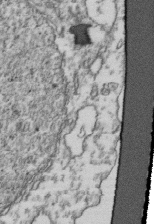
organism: Human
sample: Activated Jurkat CD4+ T cells